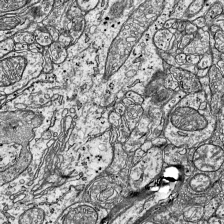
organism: Mouse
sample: Visual Cortex